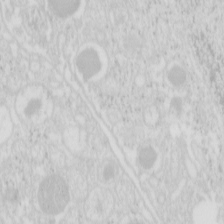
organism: Mouse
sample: Pancreas